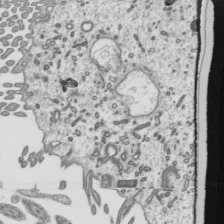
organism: Mouse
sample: Mouse epididymis efferent ductule cilia